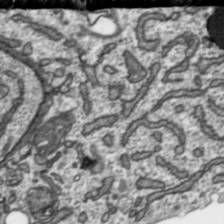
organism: Toxoplasma gondii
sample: Parasites in a vacuole inside a host cell